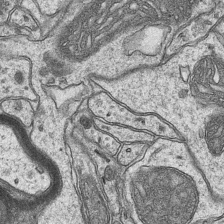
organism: Mouse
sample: CA1 Hippocampus